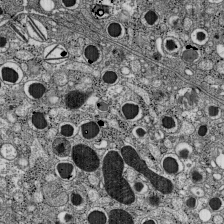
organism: C57BL Mouse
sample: Pancreatic islet